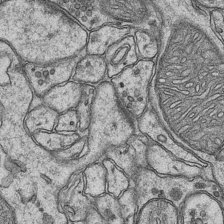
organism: Mouse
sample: CA1 Hippocampus